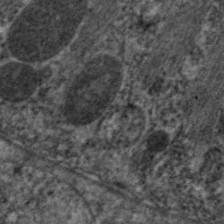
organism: C. elegans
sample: Pharynx